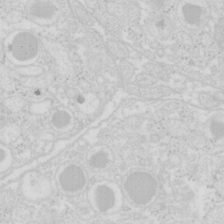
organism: Mouse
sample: Pancreas